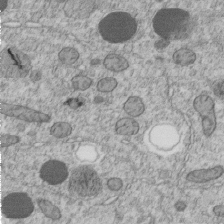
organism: C. elegans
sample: C. elegans embryo early stage